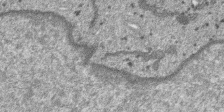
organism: Human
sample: Lung epithelial cells infected with SARS-CoV-2